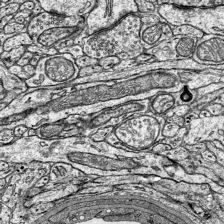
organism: Mouse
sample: Visual Cortex